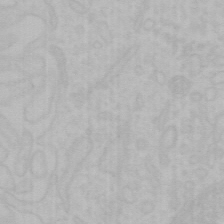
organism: Mouse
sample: Choroid plexus